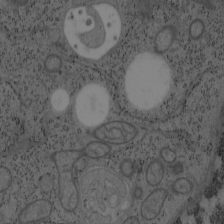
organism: Mouse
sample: OT-I killer T cells with ID8 ovarian cancer cells